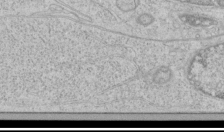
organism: Human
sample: Mitochondria in HCT116 cells